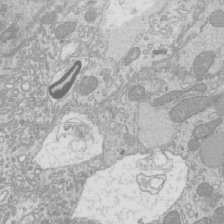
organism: Mouse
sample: Cilia; mouse epididymis